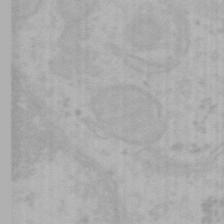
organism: Mouse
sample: Choroid plexus